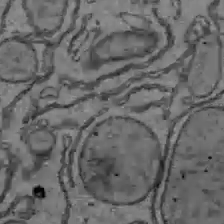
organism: C57BL Mouse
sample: Liver